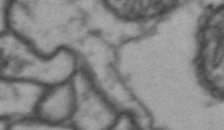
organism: Drosophila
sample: Brain